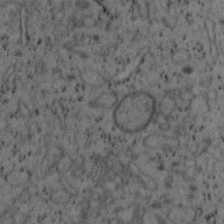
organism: Human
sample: HeLa cells